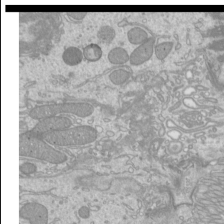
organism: Mouse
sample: Cilia; mouse epididymis